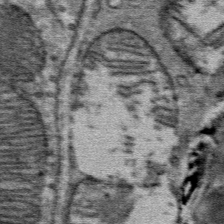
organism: Mouse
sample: Mouse Salivary gland